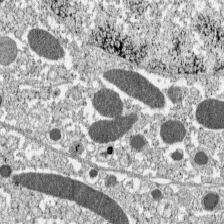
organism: C57BL Mouse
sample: Pancreatic islet